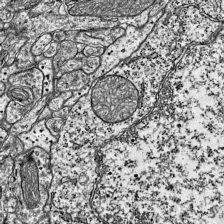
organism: Mouse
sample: Visual Cortex